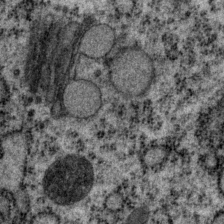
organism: P. pacificus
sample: Pharynx